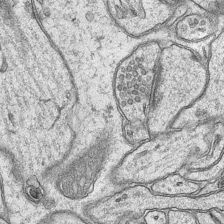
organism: Mouse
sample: CA1 Hippocampus